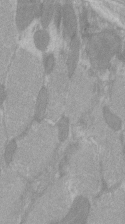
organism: C57BL Mouse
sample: Tibialis anterior muscle cell